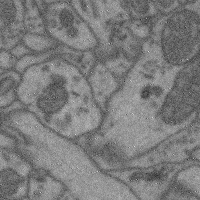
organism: Mouse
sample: Cerebral cortex